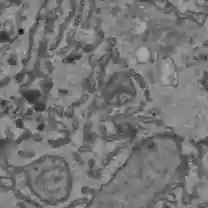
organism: C57BL Mouse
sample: Liver